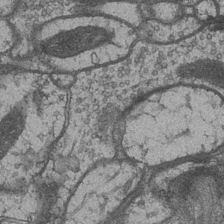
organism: Drosophila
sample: Optic medulla